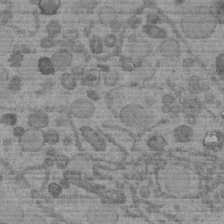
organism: C. elegans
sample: C. elegans embryo early stage